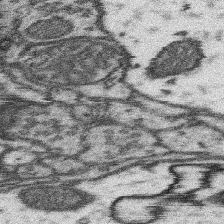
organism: Mouse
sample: Somatosensory cortex neuropil